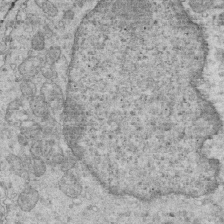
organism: Mouse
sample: Multiciliated cells